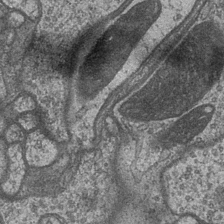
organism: Drosophila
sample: Optic medulla